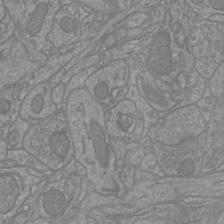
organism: Mouse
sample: Cortical neurons